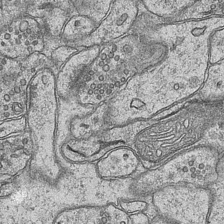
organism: Mouse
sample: CA1 Hippocampus